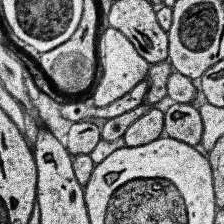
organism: Human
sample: Temporal Lobe